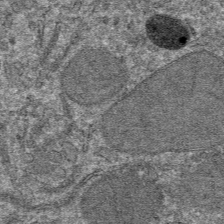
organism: Mouse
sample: Mouse hepatocytes